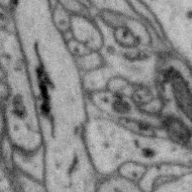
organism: Zebra finch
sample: Brain